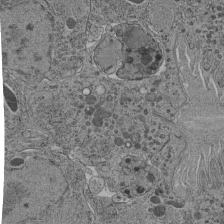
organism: C. elegans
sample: C. elegans pharynx